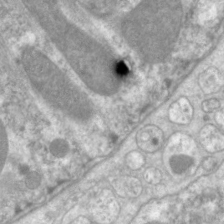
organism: C. elegans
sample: Pharynx